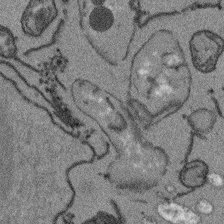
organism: Arabidopsis thaliana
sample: Root tip